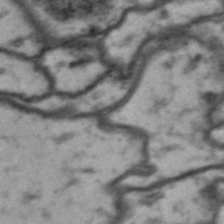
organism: Drosophila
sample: Brain